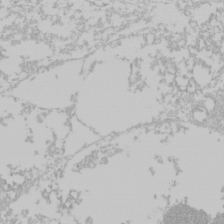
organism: Mouse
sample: Cancer cell death in ED-1 cells